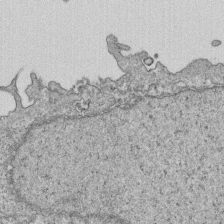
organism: Human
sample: HeLa cell HIV synapse